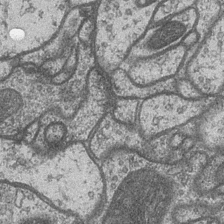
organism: Drosophila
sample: Optic medulla